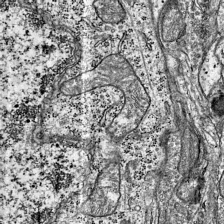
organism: Mouse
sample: Visual Cortex